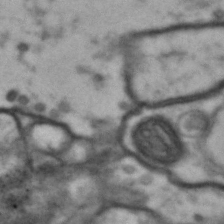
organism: Drosophila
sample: Brain